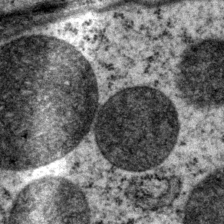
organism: P. pacificus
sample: Pharynx